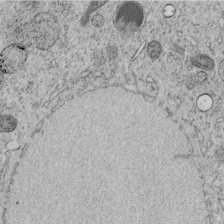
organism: C. elegans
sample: C. elegans embryo early stage